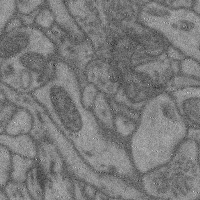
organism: Mouse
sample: Cerebral cortex